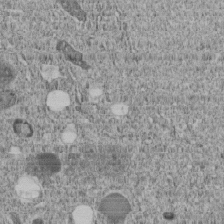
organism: C. elegans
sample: C. elegans embryo early stage